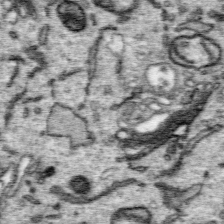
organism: Human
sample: HeLa cells